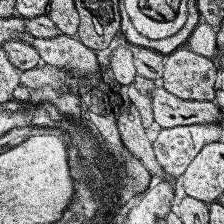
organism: Human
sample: Temporal Lobe